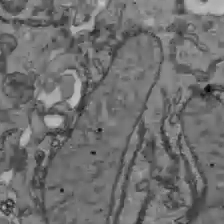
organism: C57BL Mouse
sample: Liver